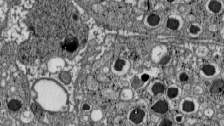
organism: C57BL Mouse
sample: Pancreatic islet